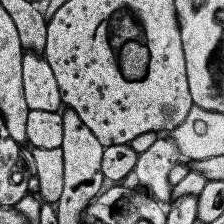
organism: Human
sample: Temporal Lobe